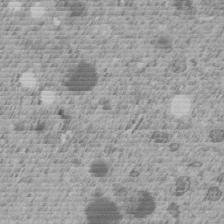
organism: C. elegans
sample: C. elegans embryo early stage